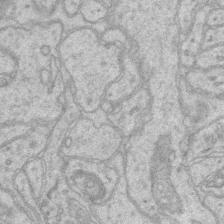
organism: Mouse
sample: CA1 Hippocampus